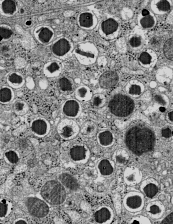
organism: C57BL Mouse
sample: Pancreatic islet